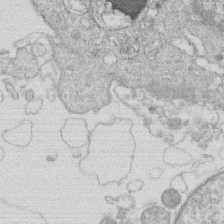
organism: Human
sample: Macrophage cells